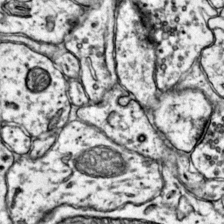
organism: Mouse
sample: Primary visual cortex